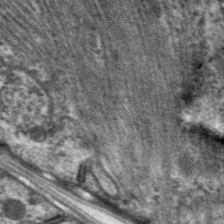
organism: C. elegans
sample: Pharynx